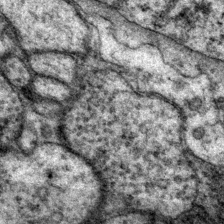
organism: P. pacificus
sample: Pharynx